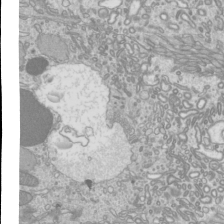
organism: Mouse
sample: Cilia; mouse epididymis